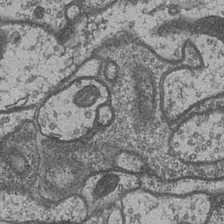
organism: Drosophila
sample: Optic medulla